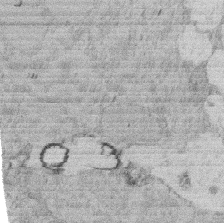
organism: Rat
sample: Salivary granule